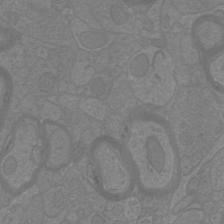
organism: Mouse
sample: Cortical neurons